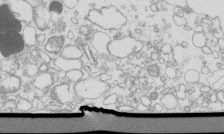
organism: Mouse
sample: Macrophages